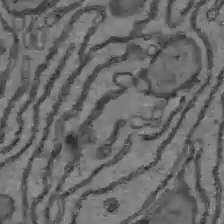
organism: C57BL Mouse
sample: Liver